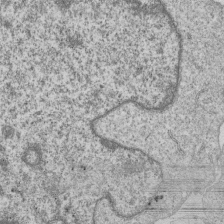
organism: Human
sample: MDA-MB-231 cells